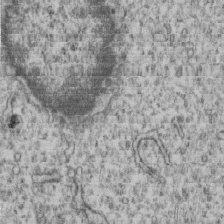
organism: Human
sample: MDA-MB-231 cells